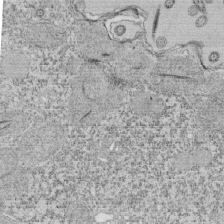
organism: Tetrahymena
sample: Cilia in tetrahymena